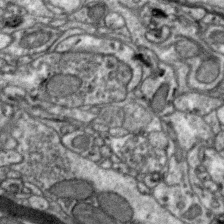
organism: Zebra finch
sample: Brain